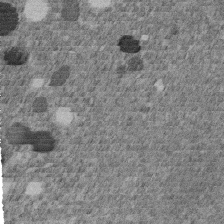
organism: C. elegans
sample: C. elegans embryo early stage